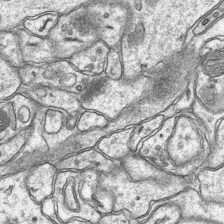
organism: Mouse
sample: CA1 Hippocampus